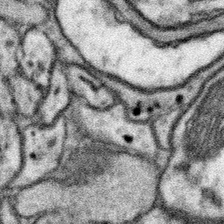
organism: Mouse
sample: Somatosensory cortex neuropil